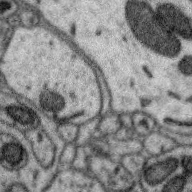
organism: Zebra finch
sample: Brain